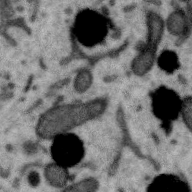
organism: Zebra finch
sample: Brain